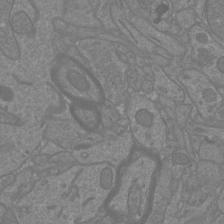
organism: Mouse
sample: Cortical neurons